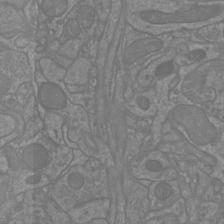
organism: Mouse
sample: Cortical neurons